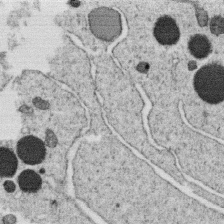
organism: C. elegans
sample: C. elegans oocyte; sperm cells